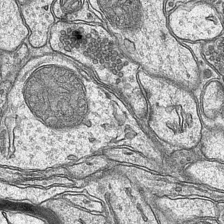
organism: Mouse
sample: CA1 Hippocampus